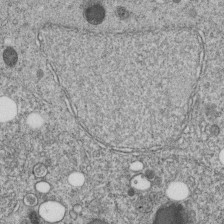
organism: C. elegans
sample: C. elegans embryo early stage